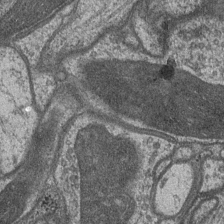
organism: Drosophila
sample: Optic medulla